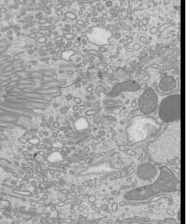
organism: Mouse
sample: Cilia; mouse epididymis